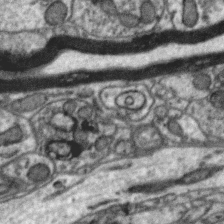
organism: Zebra finch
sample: Brain